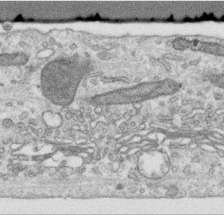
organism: Human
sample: Centriole in RPE cells